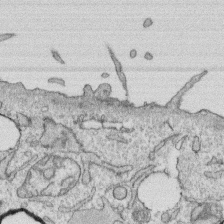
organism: Human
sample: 1205lu cells